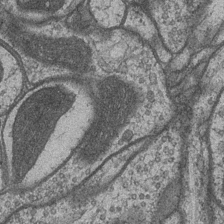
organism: Drosophila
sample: Optic medulla